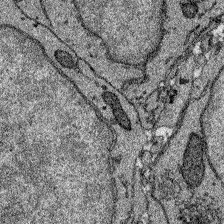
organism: Zebrafish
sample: Larval olfactory bulb